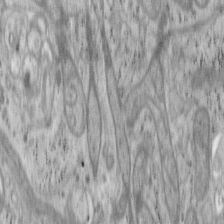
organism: Human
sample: HeLa cells